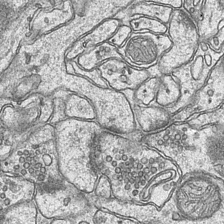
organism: Mouse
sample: CA1 Hippocampus